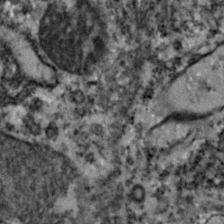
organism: Zebrafish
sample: Zebrafish embryo